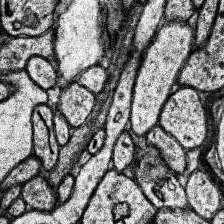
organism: Human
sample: Temporal Lobe